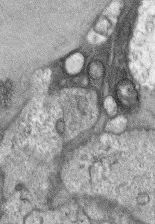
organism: Mouse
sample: Corneal nerves